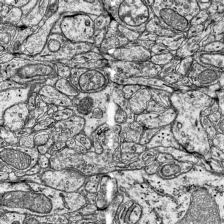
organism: Mouse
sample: Visual Cortex